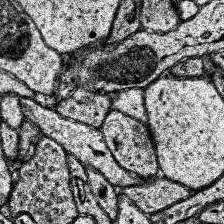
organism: Human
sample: Temporal Lobe